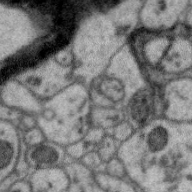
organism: Zebra finch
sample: Brain